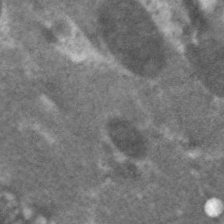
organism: C. elegans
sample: Pharynx